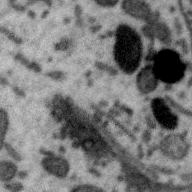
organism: Zebra finch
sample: Brain